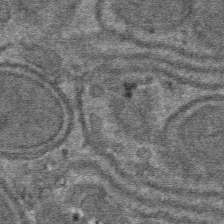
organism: Mouse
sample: Mouse hepatocytes